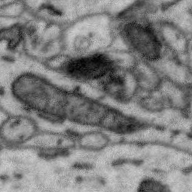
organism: Zebra finch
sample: Brain